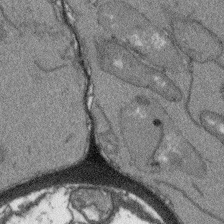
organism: Arabidopsis thaliana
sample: Root tip